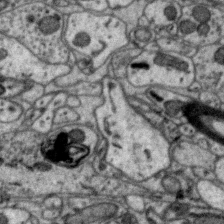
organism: Zebra finch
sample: Brain